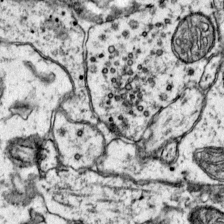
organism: Mouse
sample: Primary visual cortex